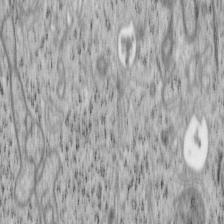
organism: Human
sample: HeLa cells